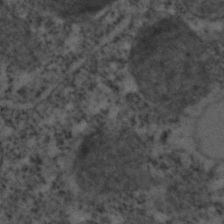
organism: C. elegans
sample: C. elegans embryo